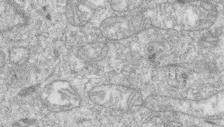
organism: Human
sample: HeLa cell HIV synapse